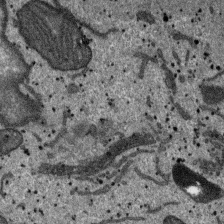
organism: Human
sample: Lung epithelial cells, uninfected (mock) control